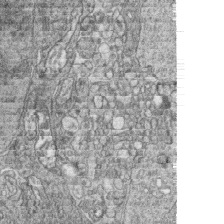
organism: Zebrafish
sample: synaptic ribbons in rod cells and cone cells